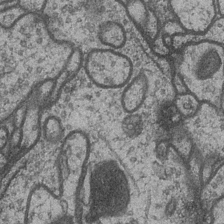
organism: Drosophila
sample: Optic medulla